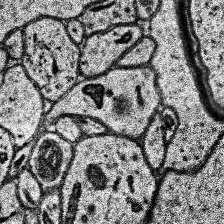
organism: Human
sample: Temporal Lobe